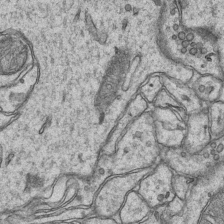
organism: Mouse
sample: CA1 Hippocampus